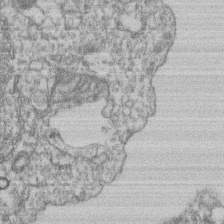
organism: Mouse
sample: T cell stromal cell synapse